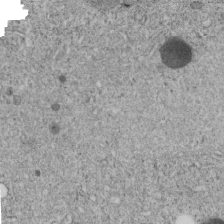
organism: C. elegans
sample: C. elegans embryo early stage